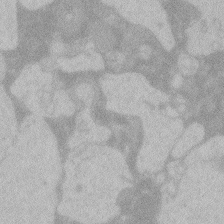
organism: Zebrafish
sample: Macrophage infected with Toxoplasma gondii